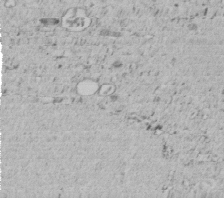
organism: C. elegans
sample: C. elegans embryo early stage